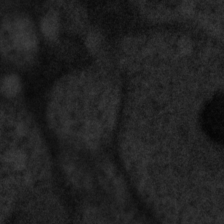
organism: Tuwongella immobilis